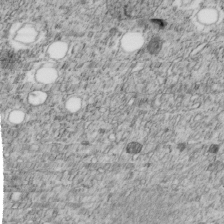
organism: C. elegans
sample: C. elegans embryo early stage